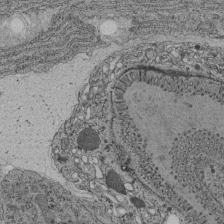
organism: C. elegans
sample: C. elegans pharynx